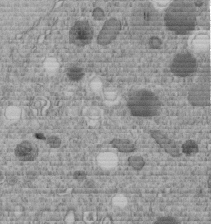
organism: C. elegans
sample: C. elegans embryo early stage